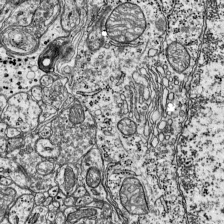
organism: Mouse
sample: Visual Cortex